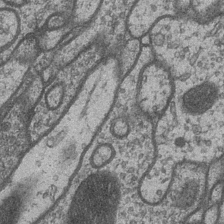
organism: Drosophila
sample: Optic medulla